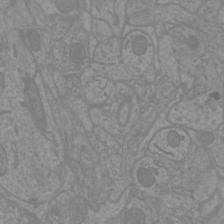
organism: Mouse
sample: Cortical neurons